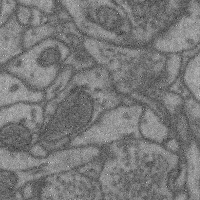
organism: Mouse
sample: Cerebral cortex